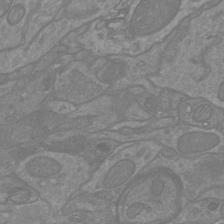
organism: Mouse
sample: Cortical neurons